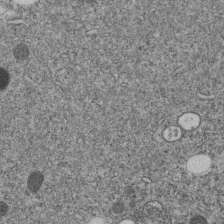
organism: C. elegans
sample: C. elegans embryo early stage